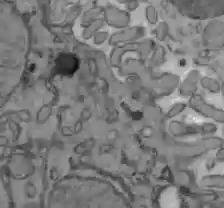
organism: C57BL Mouse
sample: Liver